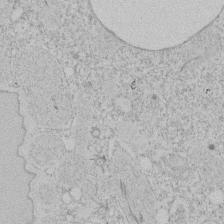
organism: Tetrahymena